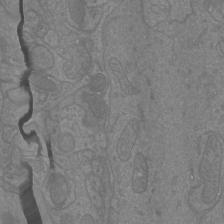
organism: Mouse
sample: Cortical neurons